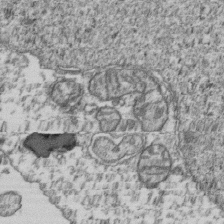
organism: Human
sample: Activated Jurkat CD4+ T cells